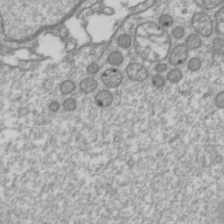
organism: Drosophila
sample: Cell division; meiosis; drosophila spermatocytes